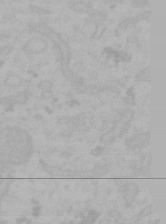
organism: Mouse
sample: Choroid plexus